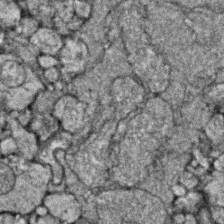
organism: Zebrafish